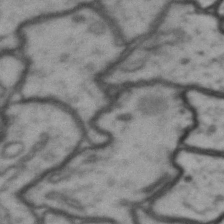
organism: Drosophila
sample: Brain